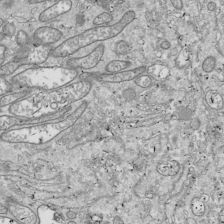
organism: Drosophila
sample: Cell division; meiosis; drosophila spermatocytes